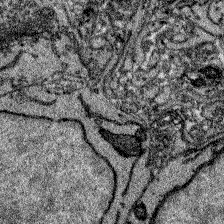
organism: Zebrafish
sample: Larval olfactory bulb